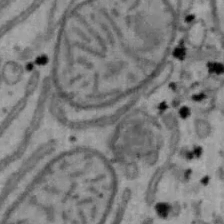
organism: Mouse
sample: Liver